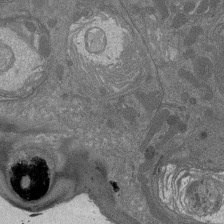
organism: Drosophila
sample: Antenna